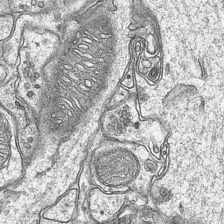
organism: Mouse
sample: CA1 Hippocampus